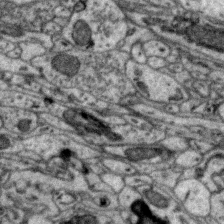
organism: Zebra finch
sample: Brain